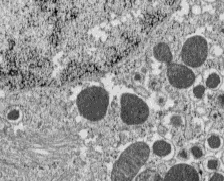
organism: C57BL Mouse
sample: Pancreatic islet